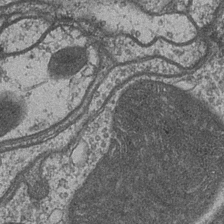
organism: Drosophila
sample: Optic medulla